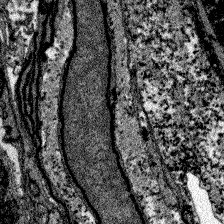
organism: Zebrafish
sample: Larval olfactory bulb